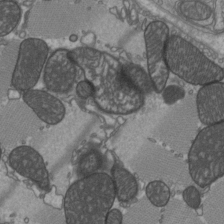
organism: C57BL Mouse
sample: Heart